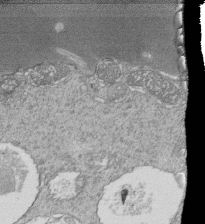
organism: Tetrahymena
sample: Cilia in tetrahymena